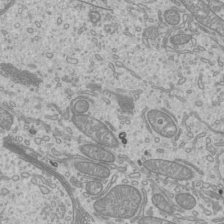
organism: Mouse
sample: Cilia; mouse epididymis